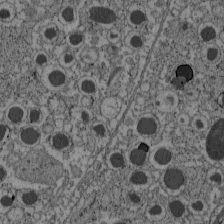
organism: C57BL Mouse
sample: Pancreatic islet